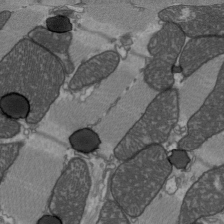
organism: C57BL Mouse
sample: Heart